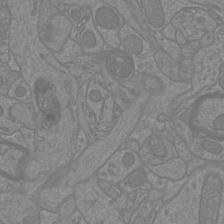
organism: Mouse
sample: Cortical neurons